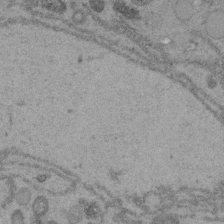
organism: C. elegans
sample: C. elegans embryo early stage